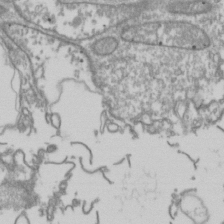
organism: Drosophila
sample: Cell division; meiosis; drosophila spermatocytes